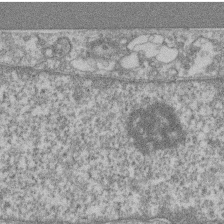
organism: Mouse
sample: T cell stromal cell synapse